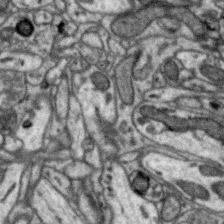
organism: Zebra finch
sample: Brain